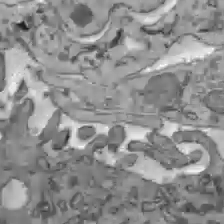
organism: C57BL Mouse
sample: Liver